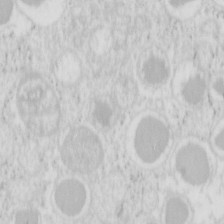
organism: Mouse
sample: Pancreas